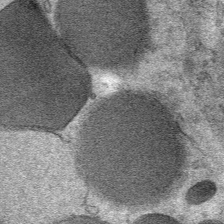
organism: Mouse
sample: Mouse Salivary gland